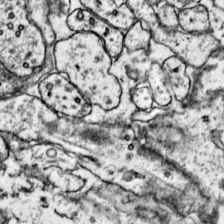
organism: Mouse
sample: Primary visual cortex